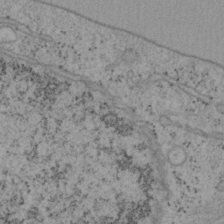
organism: Human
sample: HeLa cells